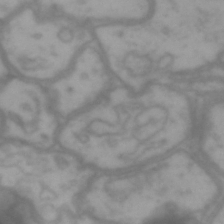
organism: Drosophila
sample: Brain